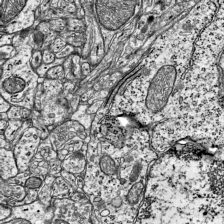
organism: Mouse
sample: Visual Cortex